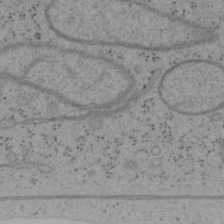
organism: Human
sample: HeLa cells